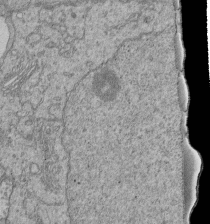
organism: Human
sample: Retinal organoid Rod and Cone cells